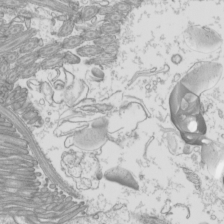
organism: Mouse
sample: Cilia; mouse epididymis